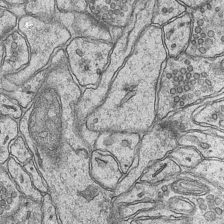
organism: Mouse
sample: CA1 Hippocampus